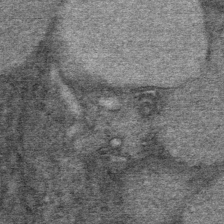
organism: Mouse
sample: Mouse Salivary gland